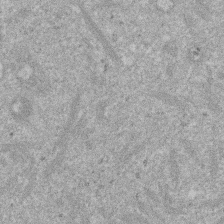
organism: Mouse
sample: Dividing mouse embryo 1 cell stage